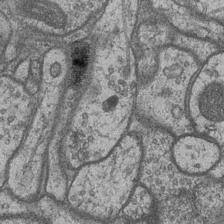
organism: Drosophila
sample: Optic medulla